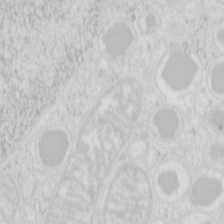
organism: Mouse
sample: Pancreas